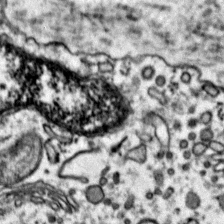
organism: Mouse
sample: Primary visual cortex